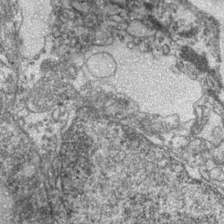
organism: Zebrafish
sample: Zebrafish embryo